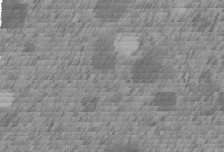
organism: C. elegans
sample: C. elegans embryo early stage